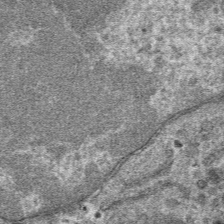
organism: Mouse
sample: Mouse hepatocytes